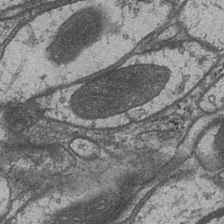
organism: Drosophila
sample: Optic medulla